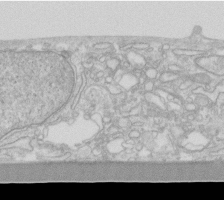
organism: Human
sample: Fibroblast cells